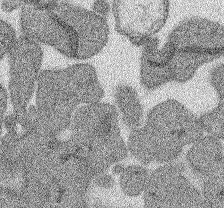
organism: Human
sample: HeLa cells